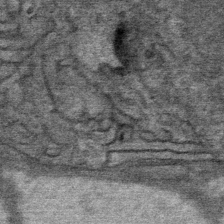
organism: Mouse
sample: Mouse Salivary gland